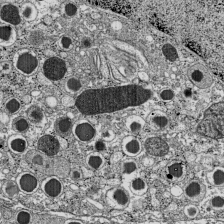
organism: C57BL Mouse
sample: Pancreatic islet